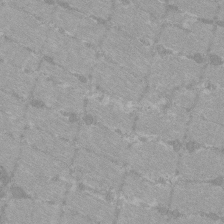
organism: C57BL Mouse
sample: Tibialis anterior muscle cell